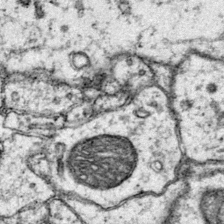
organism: Mouse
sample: Primary visual cortex